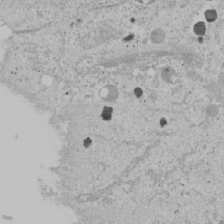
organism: Human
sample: Mitochondria in U2OS cells